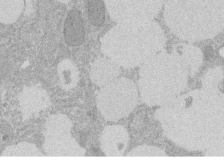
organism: Rat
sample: Salivary granule